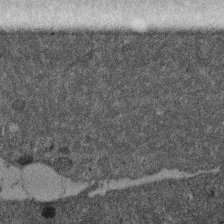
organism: Mouse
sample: Dividing mouse embryo 1 cell stage